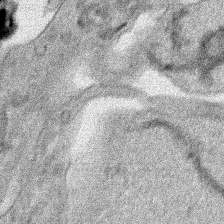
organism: Human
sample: Mitochondria in HCT116 cells